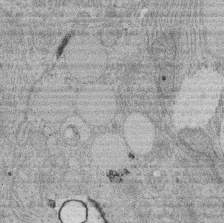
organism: Rat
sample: Salivary granule